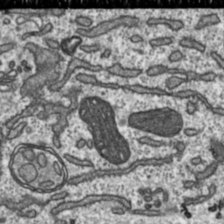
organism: Toxoplasma gondii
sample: Parasites in a vacuole inside a host cell